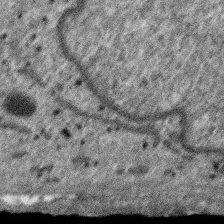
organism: Human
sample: Lung epithelial cells infected with SARS-CoV-2